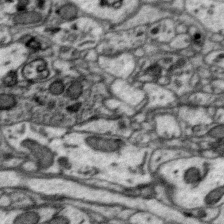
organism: Zebra finch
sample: Brain